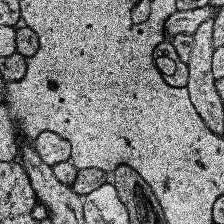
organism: Human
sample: Temporal Lobe